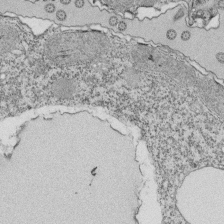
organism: Tetrahymena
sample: Cilia in tetrahymena